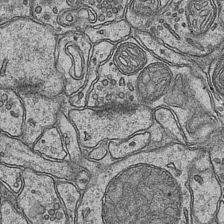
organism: Mouse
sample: CA1 Hippocampus